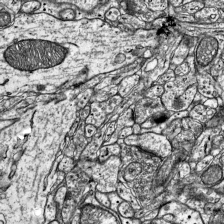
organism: Mouse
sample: Visual Cortex